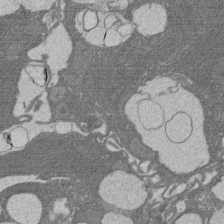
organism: Rat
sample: Salivary granule